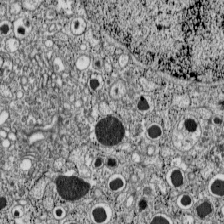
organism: C57BL Mouse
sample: Pancreatic islet